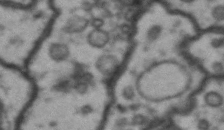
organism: Drosophila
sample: Brain